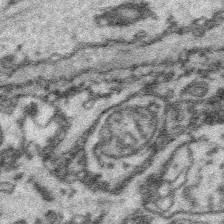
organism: Platynereis dumerilii